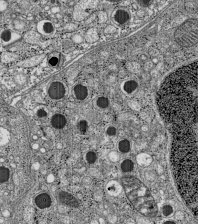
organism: C57BL Mouse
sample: Pancreatic islet